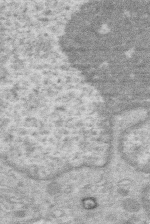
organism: Human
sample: Macrophage cells